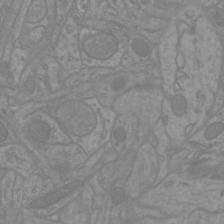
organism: Mouse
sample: Cortical neurons